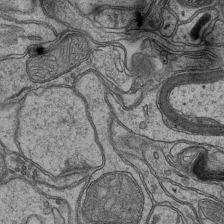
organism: Mouse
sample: CA1 Hippocampus